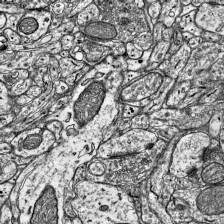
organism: Mouse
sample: Visual Cortex